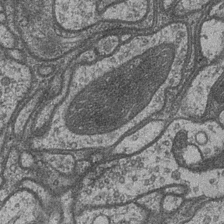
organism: Drosophila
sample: Optic medulla